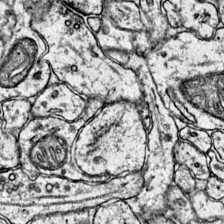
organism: Mouse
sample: Primary visual cortex